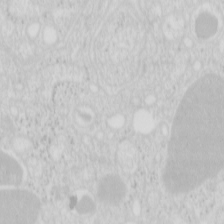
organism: Mouse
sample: Pancreas